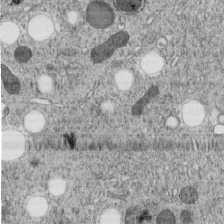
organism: C. elegans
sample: C. elegans embryo early stage